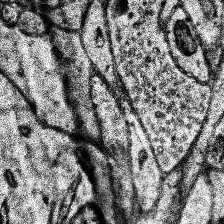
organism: Human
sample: Temporal Lobe